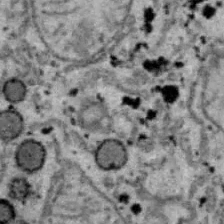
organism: Mouse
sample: Liver from an obese (ob/ob) mouse